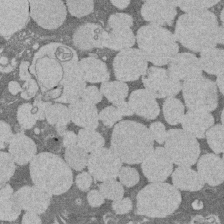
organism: Rat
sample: Salivary granule